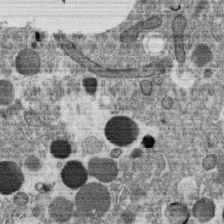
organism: C. elegans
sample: C. elegans oocyte; sperm cells